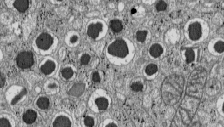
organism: C57BL Mouse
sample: Pancreatic islet